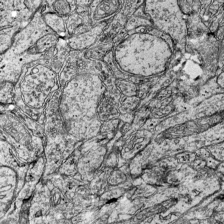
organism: Mouse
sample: Visual Cortex